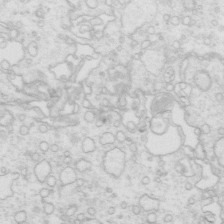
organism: Mouse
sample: Multiciliated cells